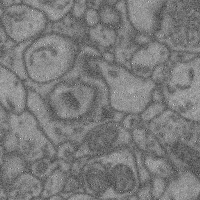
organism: Mouse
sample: Cerebral cortex